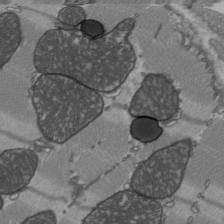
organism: C57BL Mouse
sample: Heart